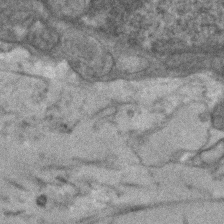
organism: Human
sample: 1205lu cells